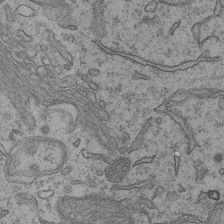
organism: Mouse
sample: CA1 Hippocampus